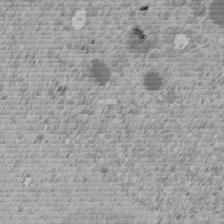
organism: C. elegans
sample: C. elegans embryo early stage